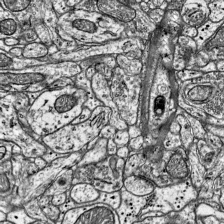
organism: Mouse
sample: Visual Cortex